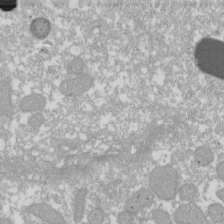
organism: Xenopus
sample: Cilia; centrioles in frog embryo cells